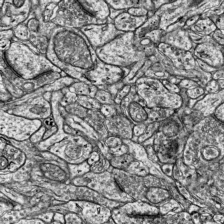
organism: Mouse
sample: Visual Cortex